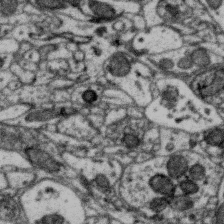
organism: Zebra finch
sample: Brain